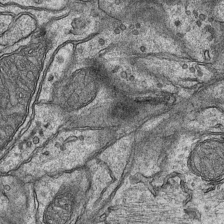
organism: Mouse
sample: CA1 Hippocampus